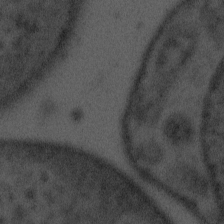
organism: Tuwongella immobilis